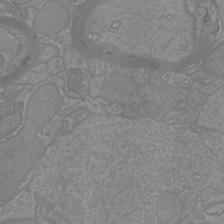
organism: Mouse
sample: Cortical neurons